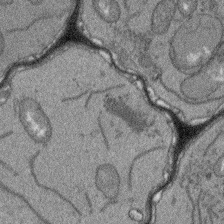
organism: Arabidopsis thaliana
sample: Root tip